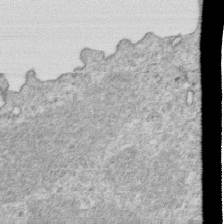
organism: Mouse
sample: Activated OT-1 CD8+ T cells